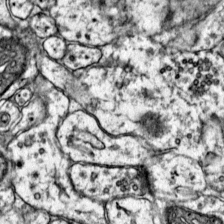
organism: Mouse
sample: Primary visual cortex